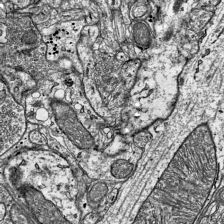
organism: Mouse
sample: Visual Cortex